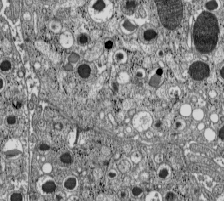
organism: C57BL Mouse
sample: Pancreatic islet